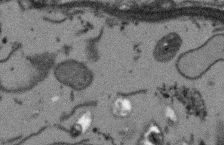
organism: Arabidopsis thaliana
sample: Root tip